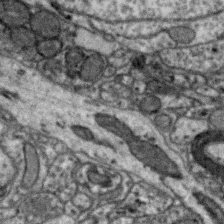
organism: Zebra finch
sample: Brain